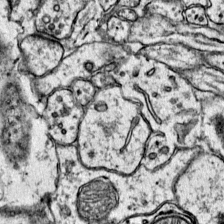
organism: Mouse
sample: Primary visual cortex